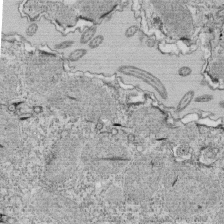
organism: Tetrahymena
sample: Cilia in tetrahymena